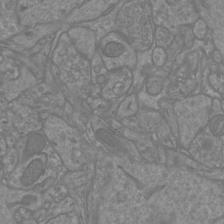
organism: Mouse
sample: Cortical neurons